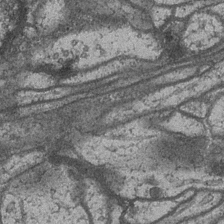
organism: Drosophila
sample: Optic medulla